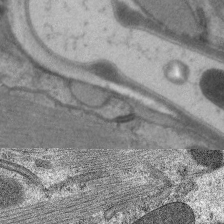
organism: C. elegans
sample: Pharynx